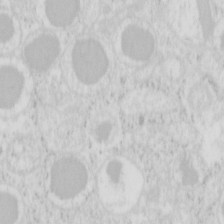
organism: Mouse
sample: Pancreas